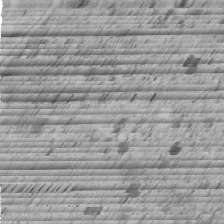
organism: C. elegans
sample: C. elegans embryo early stage